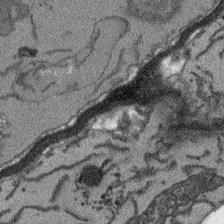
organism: Arabidopsis thaliana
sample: Root tip